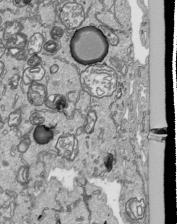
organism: Human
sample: Mitochondria in HCT116 cells